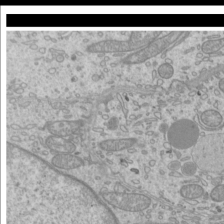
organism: Mouse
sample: Cilia; mouse epididymis